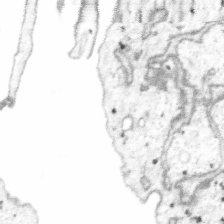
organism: Human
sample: HeLa cells